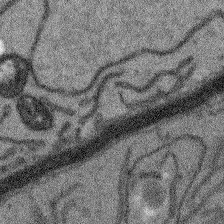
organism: Arabidopsis thaliana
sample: Root tip